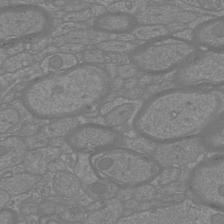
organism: Mouse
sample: Cortical neurons